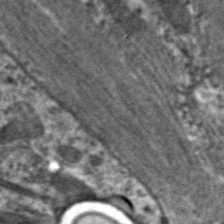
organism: C. elegans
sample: Pharynx